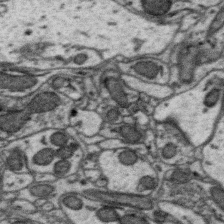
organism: Zebra finch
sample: Brain